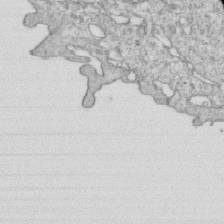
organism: Mouse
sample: Activated OT-1 CD8+ T cells